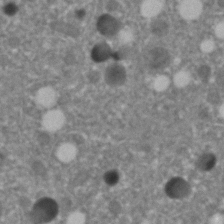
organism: C. elegans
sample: C. elegans embryo